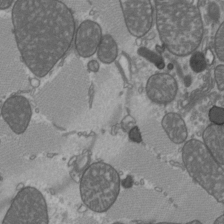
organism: C57BL Mouse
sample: Heart